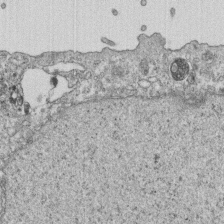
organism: Human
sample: HeLa cell HIV synapse